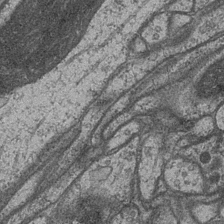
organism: Drosophila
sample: Optic medulla